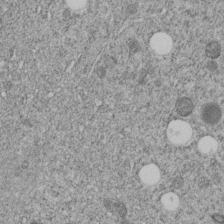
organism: C. elegans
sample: C. elegans embryo early stage